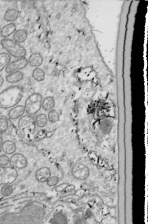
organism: Drosophila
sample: Cell division; meiosis; drosophila spermatocytes